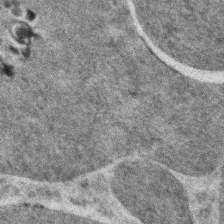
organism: Zebrafish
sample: Zebrafish embryo